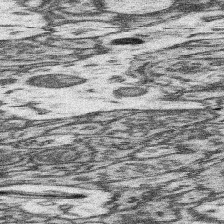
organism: Mouse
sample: Somatosensory cortex neuropil